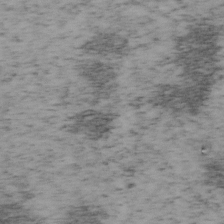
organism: Mouse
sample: OT-I killer T cells with ID8 ovarian cancer cells